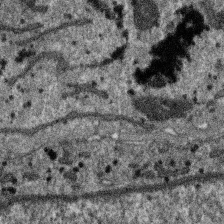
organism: Human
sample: Lung epithelial cells infected with SARS-CoV-2